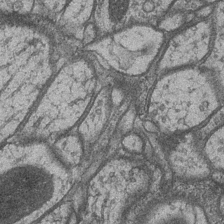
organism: Drosophila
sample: Optic medulla